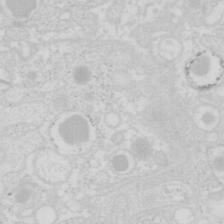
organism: Mouse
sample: Pancreas